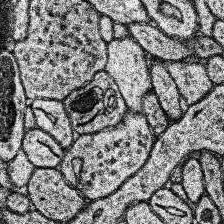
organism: Human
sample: Temporal Lobe